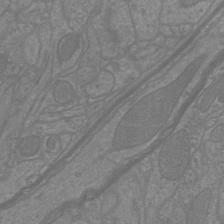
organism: Mouse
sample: Cortical neurons